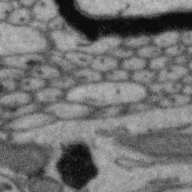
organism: Zebra finch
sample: Brain